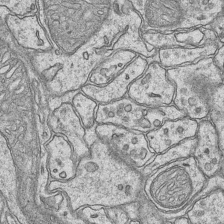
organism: Mouse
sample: CA1 Hippocampus